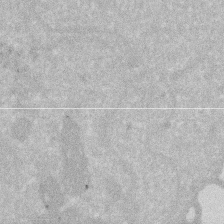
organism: Human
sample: HIV infected U937 cells